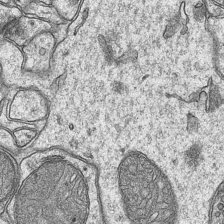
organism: Mouse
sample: CA1 Hippocampus